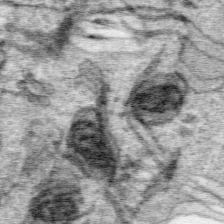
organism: Human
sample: HeLa cells